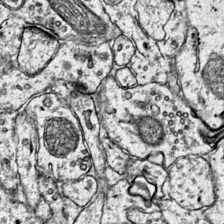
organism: Mouse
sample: Primary visual cortex